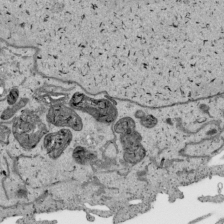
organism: Human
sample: Mitochondria in HCT116 cells